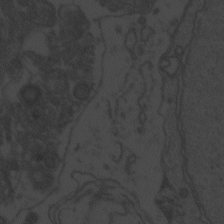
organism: Zebrafish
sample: Macrophage infected with Toxoplasma gondii